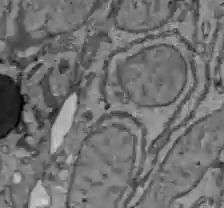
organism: C57BL Mouse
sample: Liver